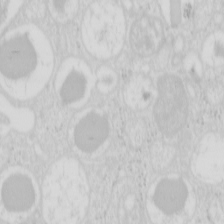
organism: Mouse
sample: Pancreas